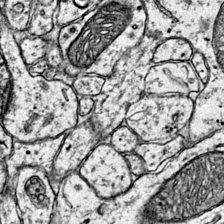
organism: Mouse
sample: Primary visual cortex